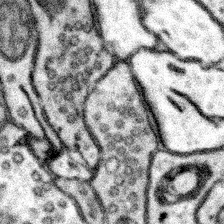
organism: Mouse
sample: Somatosensory cortex neuropil